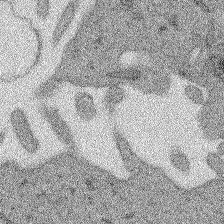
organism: Human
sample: HeLa cells